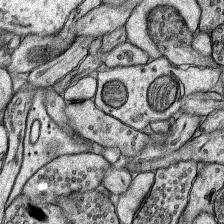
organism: Rat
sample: Hippocampus